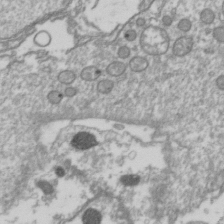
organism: Drosophila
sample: Cell division; meiosis; drosophila spermatocytes